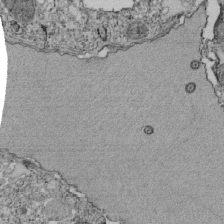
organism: Tetrahymena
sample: Cilia in tetrahymena